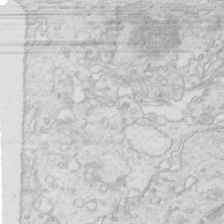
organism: Mouse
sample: Multiciliated cells